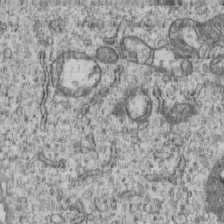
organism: Human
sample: MDA-MB-231 cells